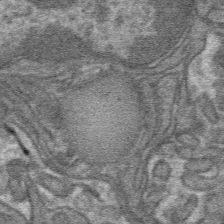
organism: Mouse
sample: Mouse hepatocytes